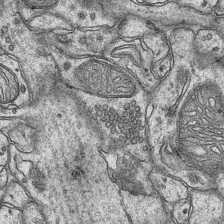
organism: Mouse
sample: CA1 Hippocampus